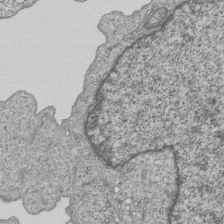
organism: Human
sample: MDA-MB-231 cells